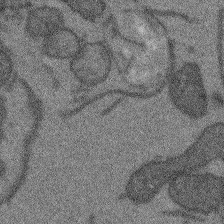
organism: Arabidopsis thaliana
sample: Root tip